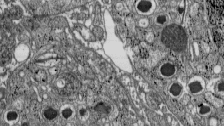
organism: C57BL Mouse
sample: Pancreatic islet